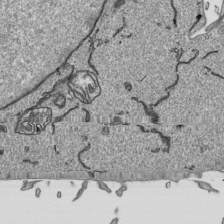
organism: Human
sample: Mitochondria in HCT116 cells